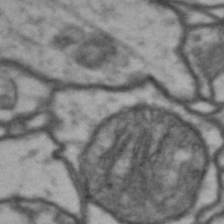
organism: Drosophila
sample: Brain